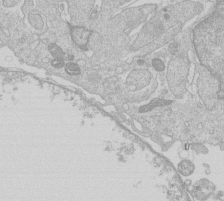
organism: Human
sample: Macrophage cells